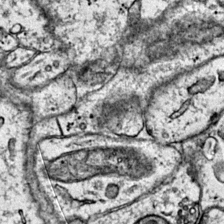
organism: Mouse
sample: Primary visual cortex